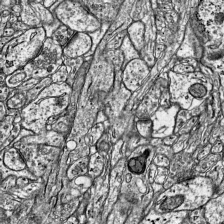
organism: Mouse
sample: Visual Cortex